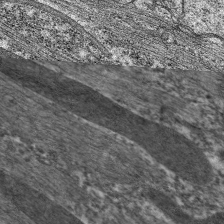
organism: C. elegans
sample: Pharynx